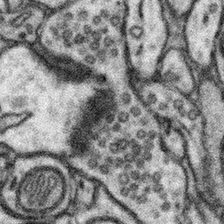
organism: Mouse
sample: Somatosensory cortex neuropil